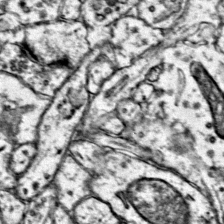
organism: Mouse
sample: Primary visual cortex